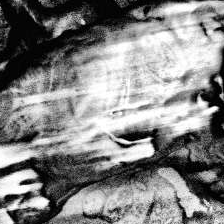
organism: Human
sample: Temporal Lobe